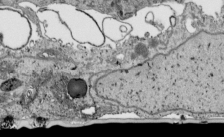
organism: Human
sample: Mitochondria in HCT116 cells